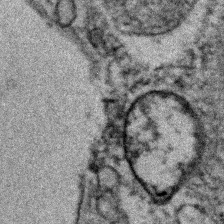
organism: Zebrafish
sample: Zebrafish embryo